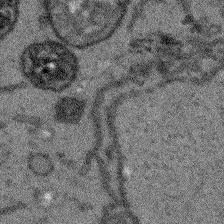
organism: Arabidopsis thaliana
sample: Root tip